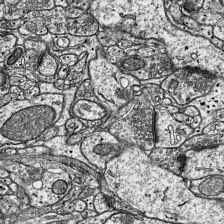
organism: Mouse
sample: Visual Cortex